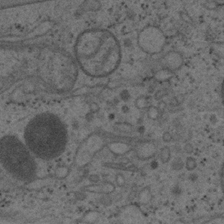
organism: Human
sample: HeLa cells